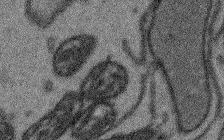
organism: Arabidopsis thaliana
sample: Root tip